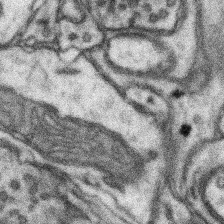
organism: Mouse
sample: Somatosensory cortex neuropil